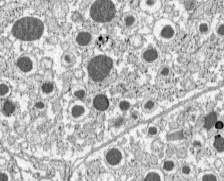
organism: C57BL Mouse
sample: Pancreatic islet